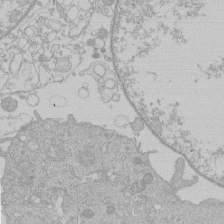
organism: Human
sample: Macrophage cells